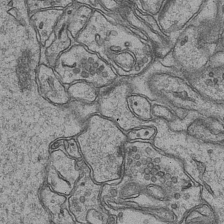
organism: Mouse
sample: CA1 Hippocampus